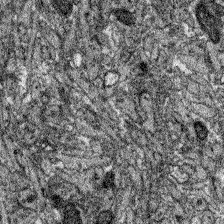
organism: Zebrafish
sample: Larval olfactory bulb